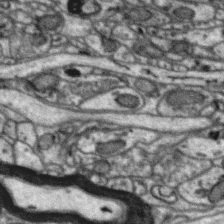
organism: Zebra finch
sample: Brain